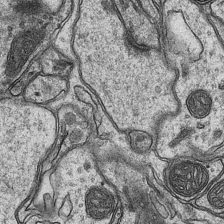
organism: Mouse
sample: CA1 Hippocampus